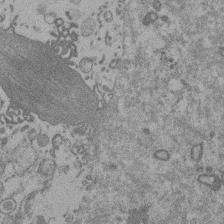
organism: Mouse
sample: Dividing mouse embryo 1 cell stage